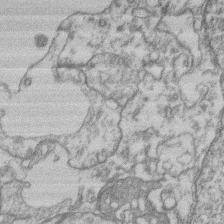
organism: Mouse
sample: T cell stromal cell synapse